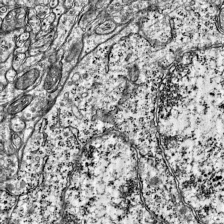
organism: Mouse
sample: Visual Cortex